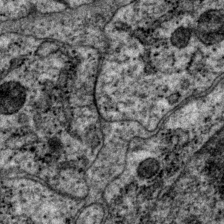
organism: P. pacificus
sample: Pharynx